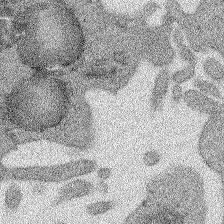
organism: Human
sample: HeLa cells